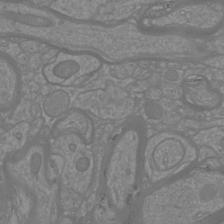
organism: Mouse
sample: Cortical neurons